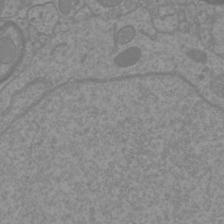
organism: Mouse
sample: Cortical neurons